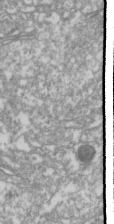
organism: Drosophila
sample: Cell division; meiosis; drosophila spermatocytes